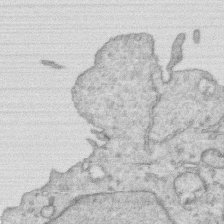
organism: Human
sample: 1205lu cells